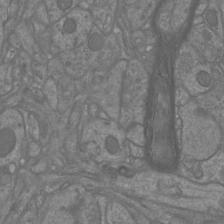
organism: Mouse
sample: Cortical neurons